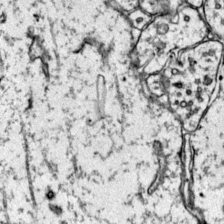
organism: Mouse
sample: Primary visual cortex